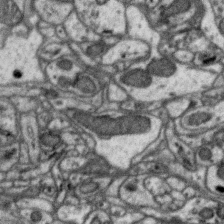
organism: Zebra finch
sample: Brain